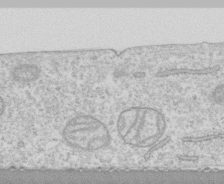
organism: Human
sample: CRL-1474